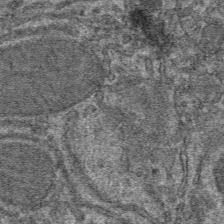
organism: Mouse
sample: Mouse hepatocytes